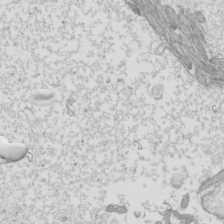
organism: Mouse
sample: Cilia; mouse epididymis